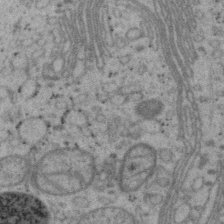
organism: Human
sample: HeLa cells